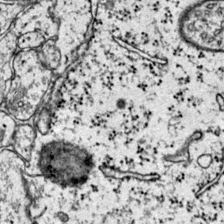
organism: Mouse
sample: Primary visual cortex